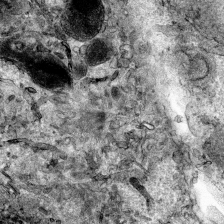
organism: Human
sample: Mitochondria in HCT116 cells